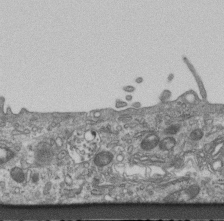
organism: Mouse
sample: Centriole in ependymal cells